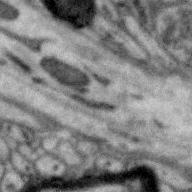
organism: Zebra finch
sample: Brain